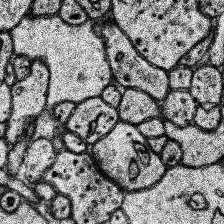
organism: Human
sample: Temporal Lobe